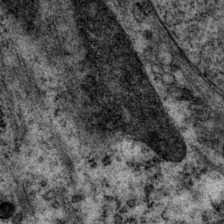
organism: P. pacificus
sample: Pharynx